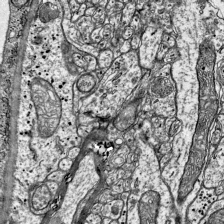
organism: Mouse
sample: Visual Cortex